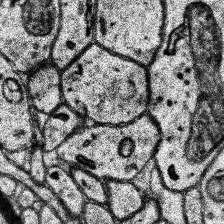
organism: Human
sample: Temporal Lobe